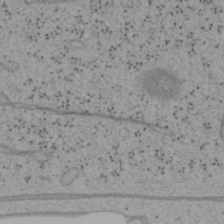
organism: Human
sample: HeLa cells